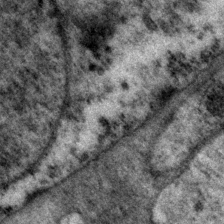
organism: P. pacificus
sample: Pharynx